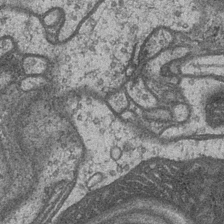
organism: Drosophila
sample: Optic medulla